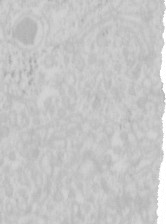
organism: Mouse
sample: Pancreas